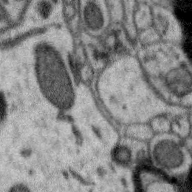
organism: Zebra finch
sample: Brain